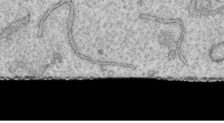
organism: Human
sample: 1205lu cells